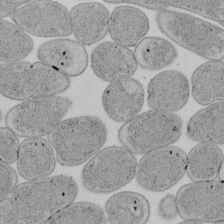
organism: E. coli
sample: Bacterial nucleoid